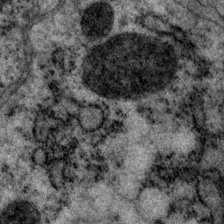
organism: P. pacificus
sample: Pharynx